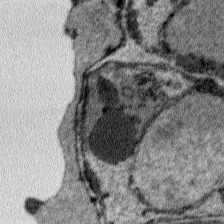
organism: Plasmodium falciparum